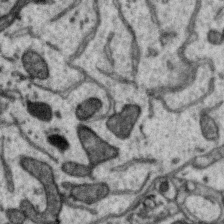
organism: Zebra finch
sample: Brain